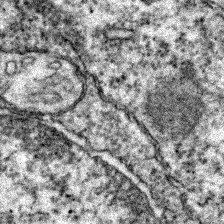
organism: Zebrafish